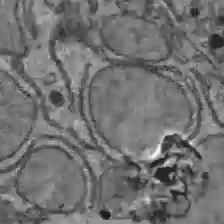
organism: C57BL Mouse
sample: Liver